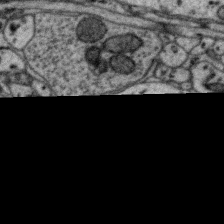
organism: Zebra finch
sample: Brain